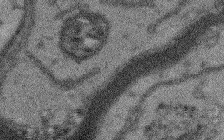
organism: Arabidopsis thaliana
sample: Root tip